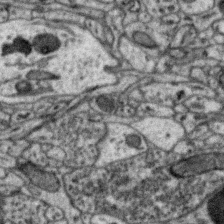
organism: Zebra finch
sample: Brain